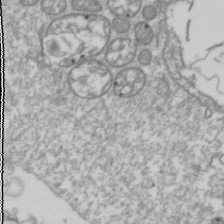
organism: Drosophila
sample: Cell division; meiosis; drosophila spermatocytes